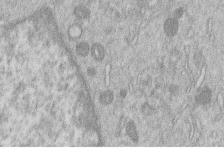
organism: Human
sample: Macrophage cells